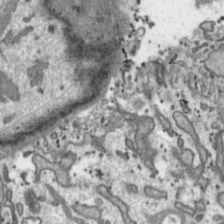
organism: Toxoplasma gondii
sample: Parasites in a vacuole inside a host cell